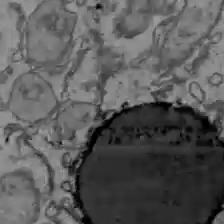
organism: C57BL Mouse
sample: Liver